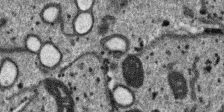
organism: Human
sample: Lung epithelial cells infected with SARS-CoV-2